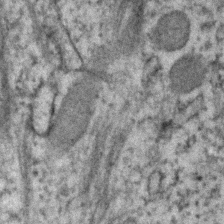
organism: Human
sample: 1205lu cells